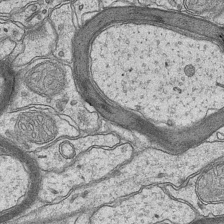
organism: Mouse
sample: CA1 Hippocampus